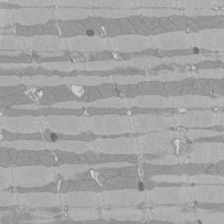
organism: Rat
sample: Left ventricle